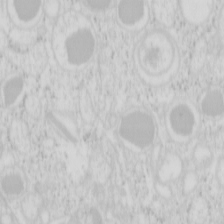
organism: Mouse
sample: Pancreas